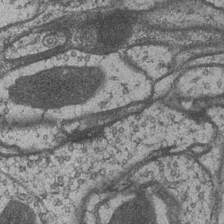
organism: Drosophila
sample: Optic medulla